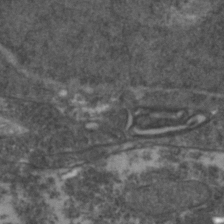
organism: Zebrafish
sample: Zebrafish embryo